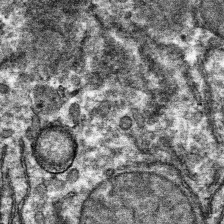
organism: Mouse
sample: Mouse hepatocytes